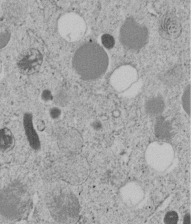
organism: C. elegans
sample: C. elegans embryo early stage